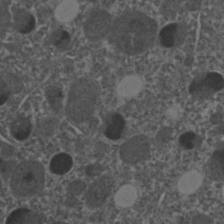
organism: C. elegans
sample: C. elegans embryo